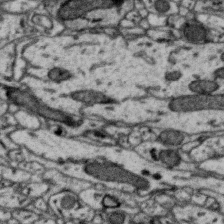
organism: Zebra finch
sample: Brain